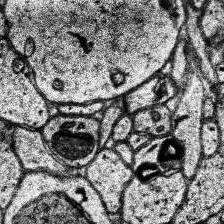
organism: Human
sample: Temporal Lobe